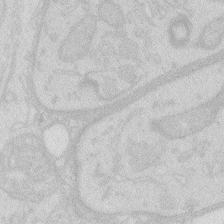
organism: Zebrafish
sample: Macrophage